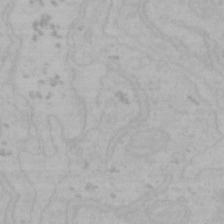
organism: Mouse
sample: Choroid plexus